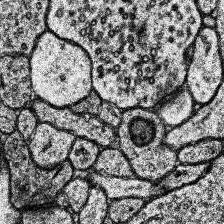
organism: Human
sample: Temporal Lobe